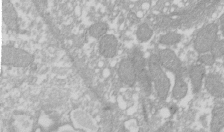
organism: Xenopus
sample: Cilia; centrioles in frog embryo cells